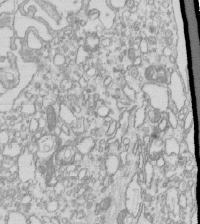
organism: Mouse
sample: Macrophages